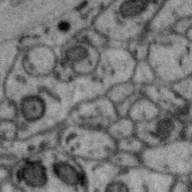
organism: Zebra finch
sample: Brain